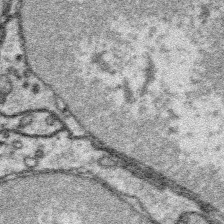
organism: Platynereis dumerilii